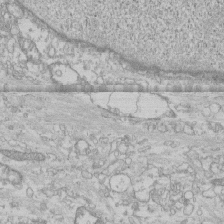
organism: Human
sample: CRL-1474